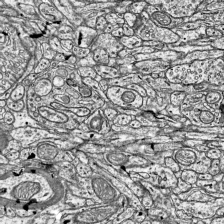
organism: Mouse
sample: Visual Cortex